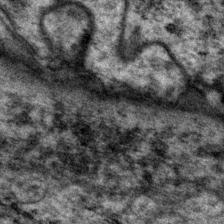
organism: P. pacificus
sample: Pharynx